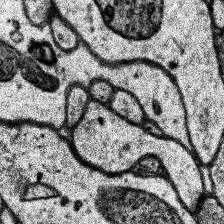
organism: Human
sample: Temporal Lobe